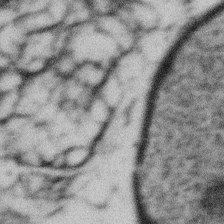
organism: Gemmata obscuriglobus